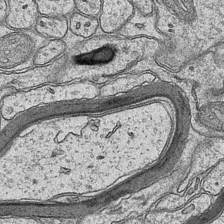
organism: Mouse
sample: CA1 Hippocampus